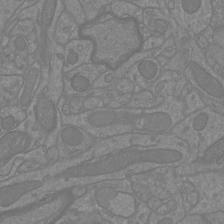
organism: Mouse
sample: Cortical neurons